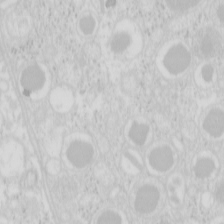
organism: Mouse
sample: Pancreas